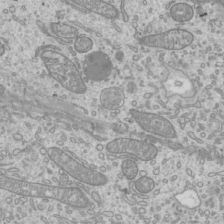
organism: Mouse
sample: Cilia; mouse epididymis